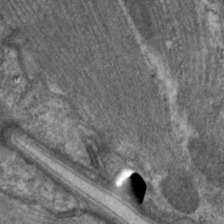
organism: C. elegans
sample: Pharynx